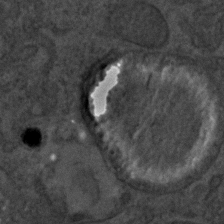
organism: C. elegans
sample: C. elegans embryo